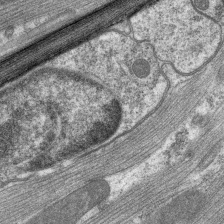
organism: C. elegans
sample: Pharynx